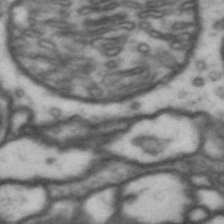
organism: Drosophila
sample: Brain